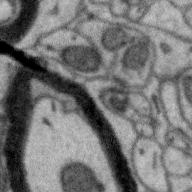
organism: Zebra finch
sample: Brain